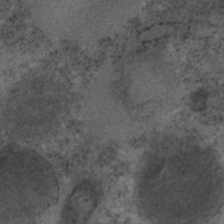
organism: C. elegans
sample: C. elegans embryo